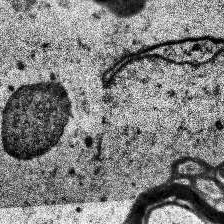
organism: Human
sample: Temporal Lobe